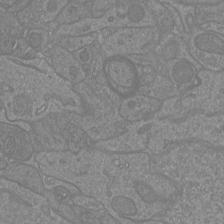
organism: Mouse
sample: Cortical neurons